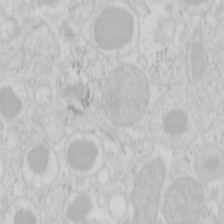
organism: Mouse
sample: Pancreas